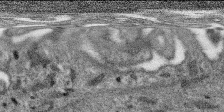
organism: Human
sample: Lung epithelial cells infected with SARS-CoV-2